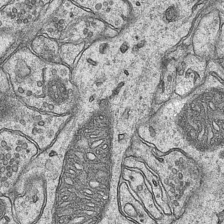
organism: Mouse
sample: CA1 Hippocampus